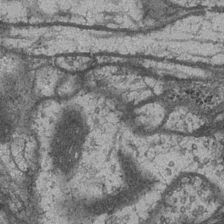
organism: Drosophila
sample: Optic medulla